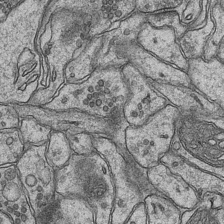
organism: Mouse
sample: CA1 Hippocampus